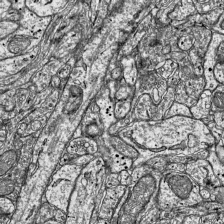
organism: Mouse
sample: Visual Cortex